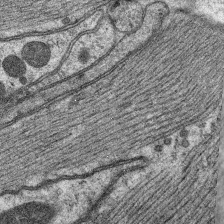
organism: C. elegans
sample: Pharynx